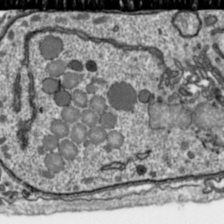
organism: Toxoplasma gondii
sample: Parasites in a vacuole inside a host cell